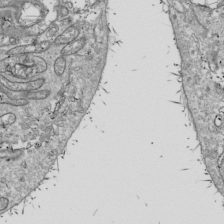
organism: Drosophila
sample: Cell division; meiosis; drosophila spermatocytes